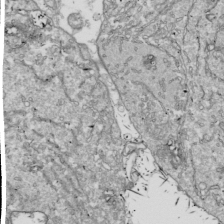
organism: Drosophila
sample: Cell division; meiosis; drosophila spermatocytes